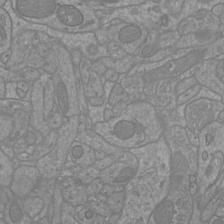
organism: Mouse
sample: Cortical neurons